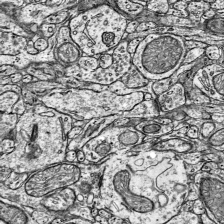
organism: Mouse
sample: Visual Cortex